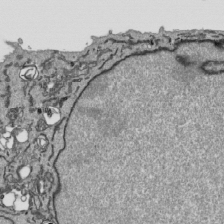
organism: Human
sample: Mitochondria in HCT116 cells